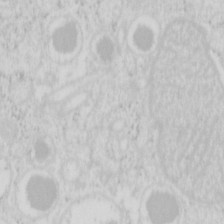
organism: Mouse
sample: Pancreas